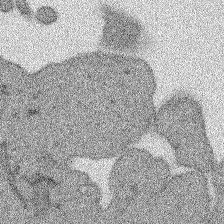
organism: Human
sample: HeLa cells